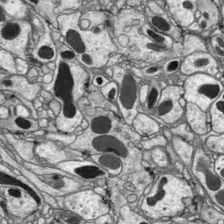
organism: Drosophila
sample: Optic lobe